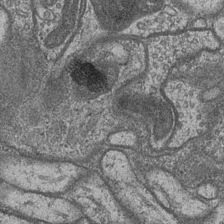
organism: Drosophila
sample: Optic medulla